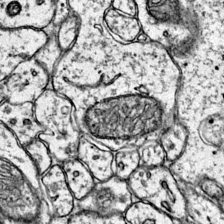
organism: Mouse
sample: Primary visual cortex